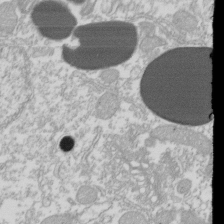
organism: Xenopus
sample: Cilia; centrioles in frog embryo cells